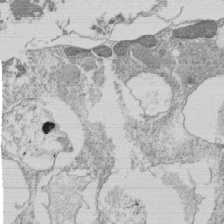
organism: Tetrahymena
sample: Cilia in tetrahymena